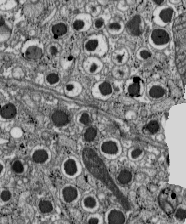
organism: C57BL Mouse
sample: Pancreatic islet